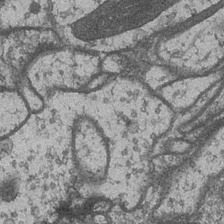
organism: Drosophila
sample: Optic medulla